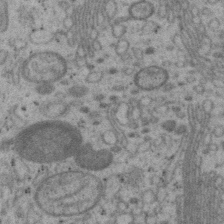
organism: Human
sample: HeLa cells